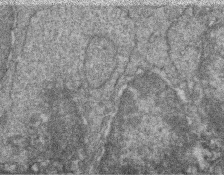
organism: Zebrafish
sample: Cilia; retinal pigment epithelium